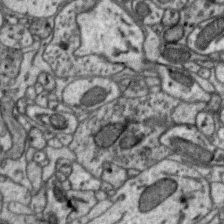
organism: Zebra finch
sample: Brain